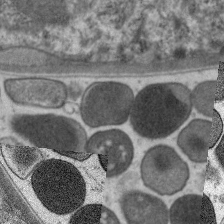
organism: C. elegans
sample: Pharynx